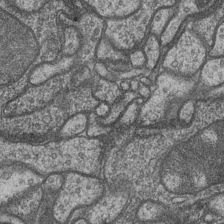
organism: Drosophila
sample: Optic medulla